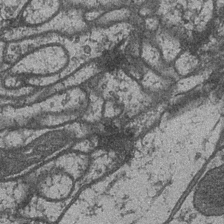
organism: Drosophila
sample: Optic medulla